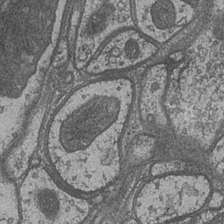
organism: Drosophila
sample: Optic medulla